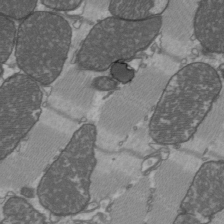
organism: C57BL Mouse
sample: Heart